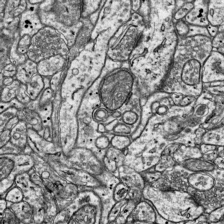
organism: Mouse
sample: Visual Cortex